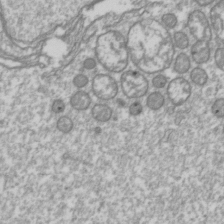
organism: Drosophila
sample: Cell division; meiosis; drosophila spermatocytes